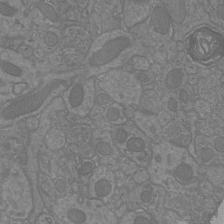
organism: Mouse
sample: Cortical neurons